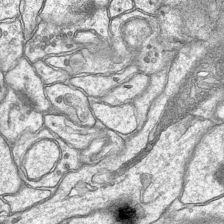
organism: Mouse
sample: CA1 Hippocampus